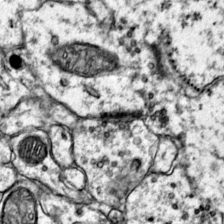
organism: Mouse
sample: Primary visual cortex